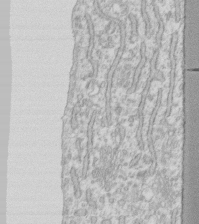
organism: Human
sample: Fibroblast cells